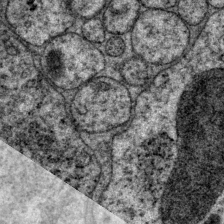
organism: P. pacificus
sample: Pharynx